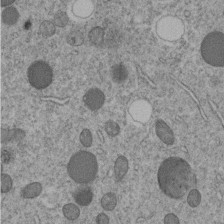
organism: C. elegans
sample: C. elegans embryo early stage